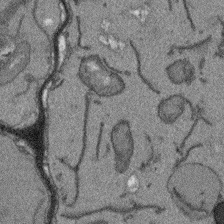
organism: Arabidopsis thaliana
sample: Root tip